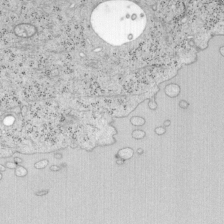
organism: Mouse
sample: OT-I killer T cells with ID8 ovarian cancer cells